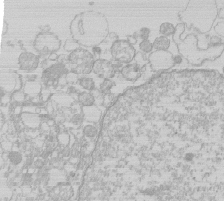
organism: Human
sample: Macrophage cells